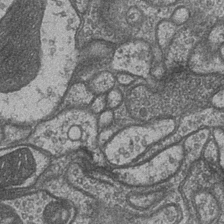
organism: Drosophila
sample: Optic medulla